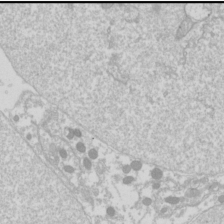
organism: Drosophila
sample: Cell division; meiosis; drosophila spermatocytes